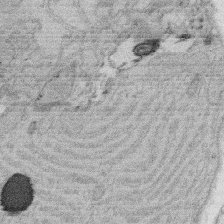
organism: Rat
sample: Salivary granule